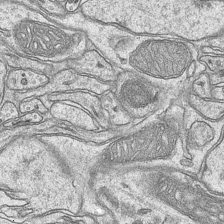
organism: Mouse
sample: CA1 Hippocampus